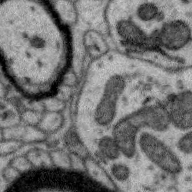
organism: Zebra finch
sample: Brain